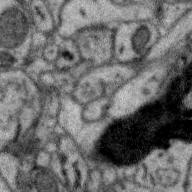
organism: Zebra finch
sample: Brain